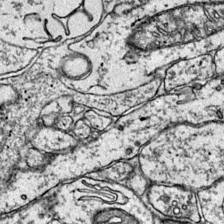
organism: Mouse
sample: Primary visual cortex